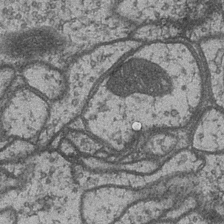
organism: Drosophila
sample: Optic medulla